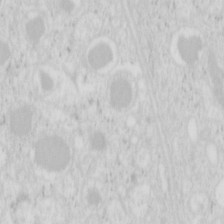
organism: Mouse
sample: Pancreas